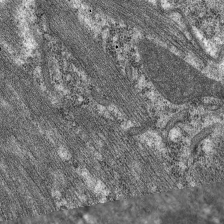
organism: C. elegans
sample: Pharynx